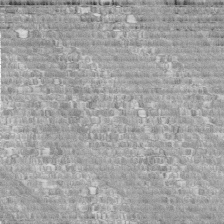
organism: Human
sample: Centriole in fibroblast cells